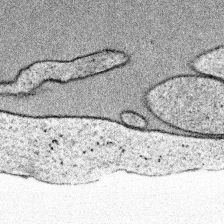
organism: Human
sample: HeLa cells